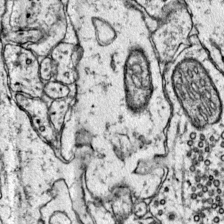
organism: Mouse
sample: Primary visual cortex